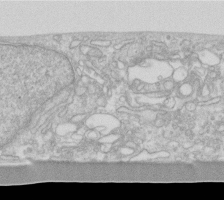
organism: Human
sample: Fibroblast cells